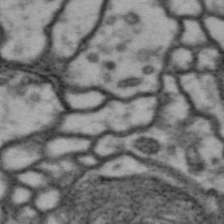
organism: Drosophila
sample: Brain